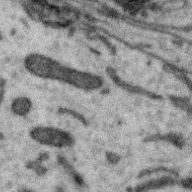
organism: Zebra finch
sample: Brain